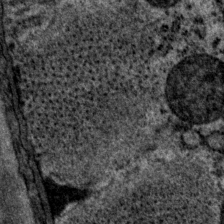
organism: P. pacificus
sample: Pharynx